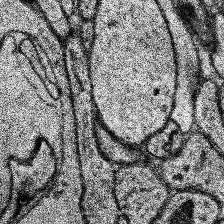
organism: Human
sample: Temporal Lobe